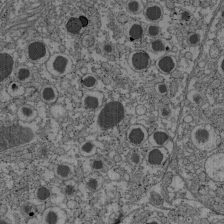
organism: C57BL Mouse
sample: Pancreatic islet